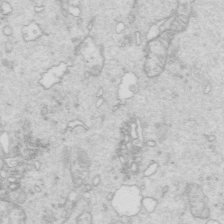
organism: Mouse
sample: Multiciliated cells